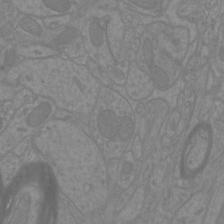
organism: Mouse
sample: Cortical neurons